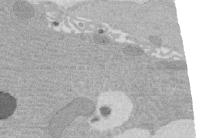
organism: Rat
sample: Salivary granule